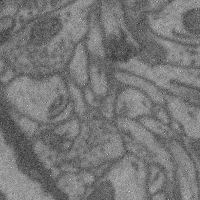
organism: Mouse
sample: Cerebral cortex